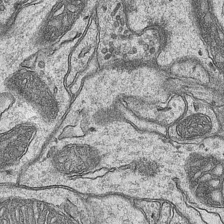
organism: Mouse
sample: CA1 Hippocampus